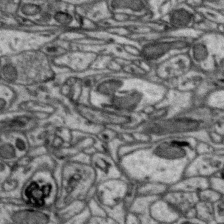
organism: Zebra finch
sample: Brain